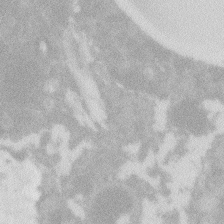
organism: Zebrafish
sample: Macrophage